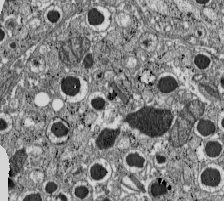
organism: C57BL Mouse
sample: Pancreatic islet